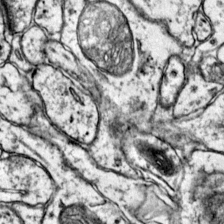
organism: Mouse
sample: Primary visual cortex